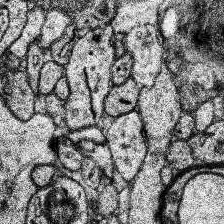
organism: Human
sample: Temporal Lobe